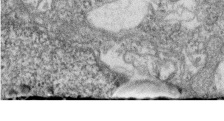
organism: Zebrafish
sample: Cilia; retinal pigment epithelium